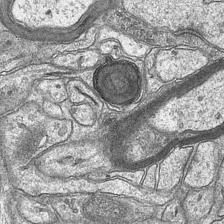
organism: Mouse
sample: CA1 Hippocampus